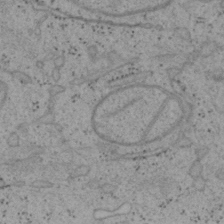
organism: Human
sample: HeLa cells